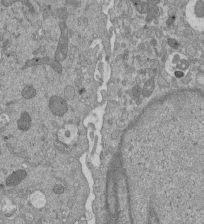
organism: Mouse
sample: ED-1 cell nuclei; centrioles